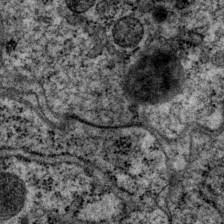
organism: P. pacificus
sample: Pharynx